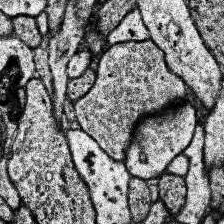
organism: Human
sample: Temporal Lobe